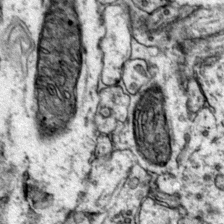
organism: Mouse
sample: Primary visual cortex